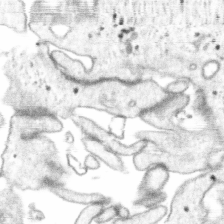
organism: Human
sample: HeLa cells